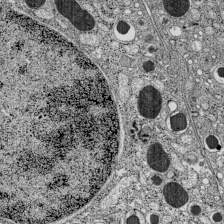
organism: C57BL Mouse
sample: Pancreatic islet